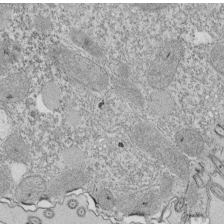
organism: Tetrahymena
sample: Cilia in tetrahymena